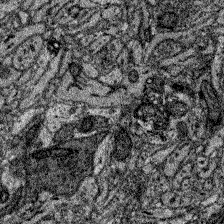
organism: Zebrafish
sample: Larval olfactory bulb